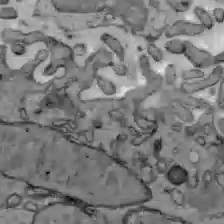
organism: C57BL Mouse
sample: Liver